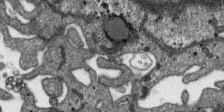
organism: Human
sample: Lung epithelial cells infected with SARS-CoV-2